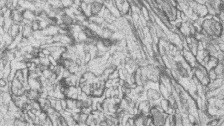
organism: Zebrafish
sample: synaptic ribbons in rod cells and cone cells